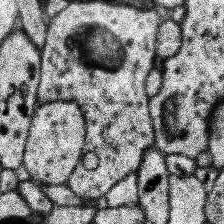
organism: Human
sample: Temporal Lobe